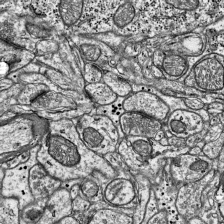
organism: Mouse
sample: Visual Cortex